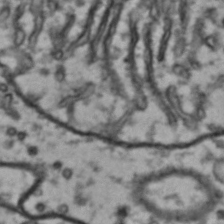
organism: Drosophila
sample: Brain